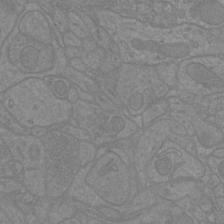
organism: Mouse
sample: Cortical neurons